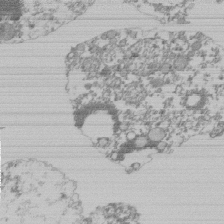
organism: Mouse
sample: Activated Pmel transgenic CD8+ T Cells